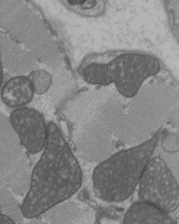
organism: C57BL Mouse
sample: Heart